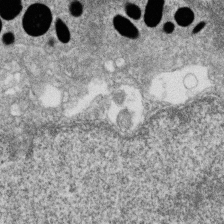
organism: Zebrafish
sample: Cilia; retinal pigment epithelium